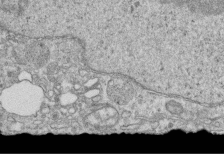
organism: Human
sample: HeLa cell HIV synapse